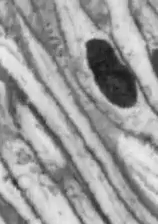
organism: Drosophila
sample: Optic lobe